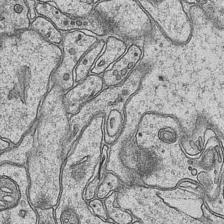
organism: Mouse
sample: CA1 Hippocampus